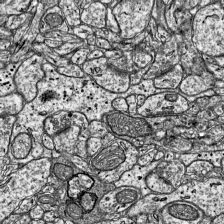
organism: Mouse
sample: Visual Cortex